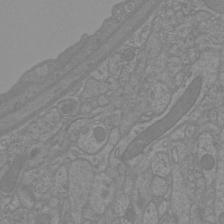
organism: Mouse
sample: Cortical neurons